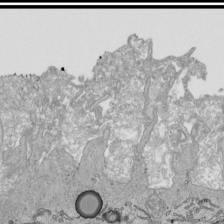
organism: Human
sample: Mitochondria in HCT116 cells